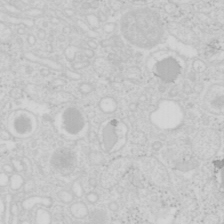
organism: Mouse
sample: Pancreas